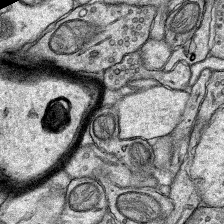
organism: Rat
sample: Hippocampus